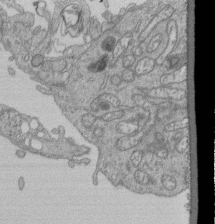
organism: Human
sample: Retinal organoid Rod and Cone cells